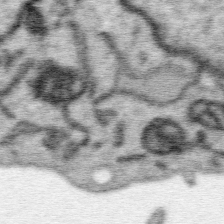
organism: Human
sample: HeLa cells